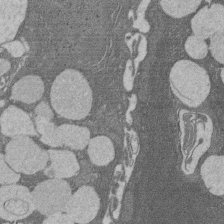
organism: Rat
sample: Salivary granule